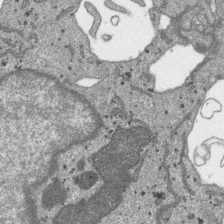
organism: Human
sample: Lung epithelial cells infected with SARS-CoV-2